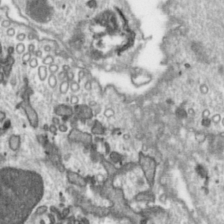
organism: Toxoplasma gondii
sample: Parasites in a vacuole inside a host cell